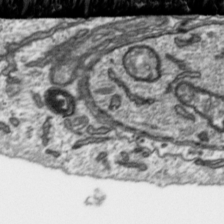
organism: Toxoplasma gondii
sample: Parasites in a vacuole inside a host cell